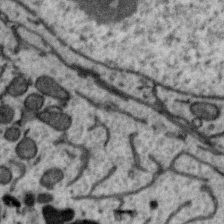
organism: Zebra finch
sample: Brain